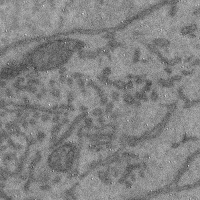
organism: Mouse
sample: Cerebral cortex